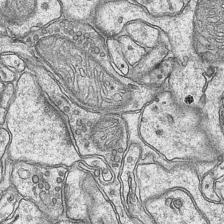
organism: Mouse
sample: CA1 Hippocampus